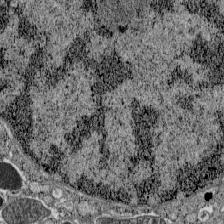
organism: C57BL Mouse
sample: Pancreatic islet